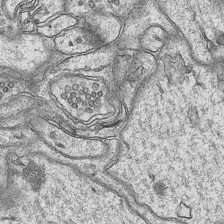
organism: Mouse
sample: CA1 Hippocampus